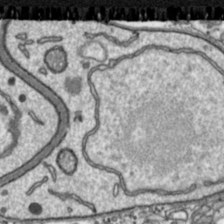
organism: Toxoplasma gondii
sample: Parasites in a vacuole inside a host cell